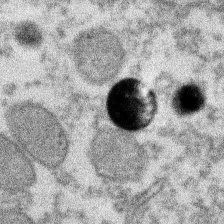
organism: Xenopus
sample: Cilia; centrioles in frog embryo cells